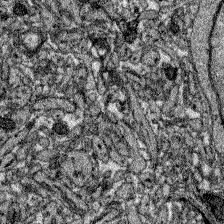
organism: Zebrafish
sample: Larval olfactory bulb